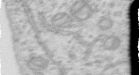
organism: Human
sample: Centriole in RPE cells